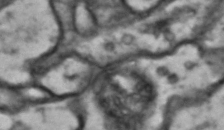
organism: Drosophila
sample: Brain